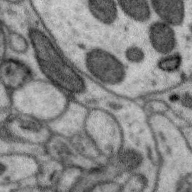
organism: Zebra finch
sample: Brain